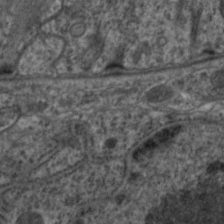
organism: C. elegans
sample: Pharynx